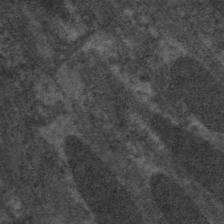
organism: C. elegans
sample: Pharynx